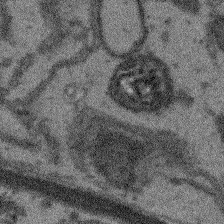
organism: Arabidopsis thaliana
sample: Root tip